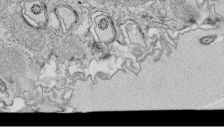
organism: Tetrahymena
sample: Cilia in tetrahymena